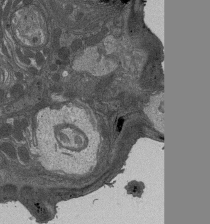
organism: Drosophila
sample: Antenna